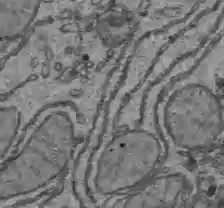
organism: C57BL Mouse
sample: Liver